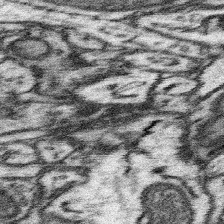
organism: Mouse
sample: Somatosensory cortex neuropil